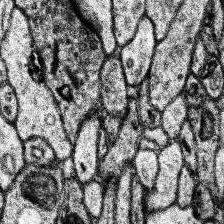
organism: Human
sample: Temporal Lobe